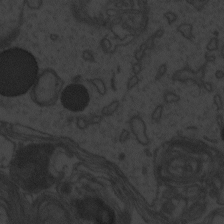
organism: Zebrafish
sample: Macrophage infected with Toxoplasma gondii